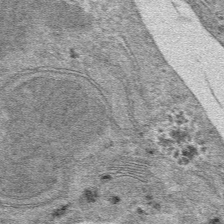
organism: Mouse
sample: Mouse hepatocytes